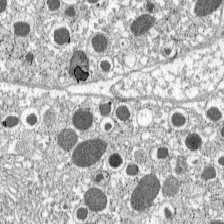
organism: C57BL Mouse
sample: Pancreatic islet